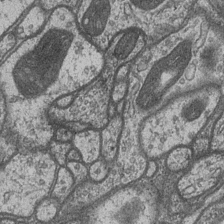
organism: Drosophila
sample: Optic medulla